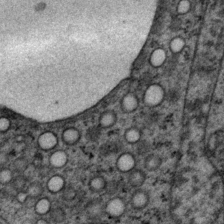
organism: P. pacificus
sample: Pharynx